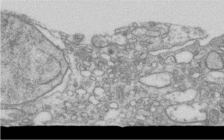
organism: Human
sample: Centriole in RPE cells